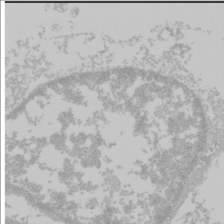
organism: Mouse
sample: Cancer cell death in ED-1 cells